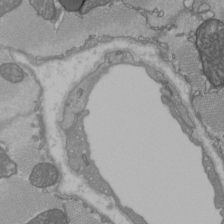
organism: C57BL Mouse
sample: Heart